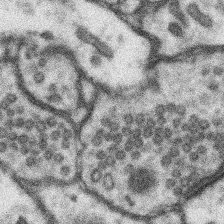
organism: Mouse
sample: Somatosensory cortex neuropil